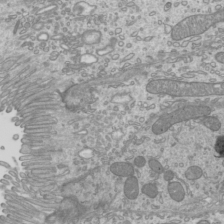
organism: Mouse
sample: Cilia; mouse epididymis